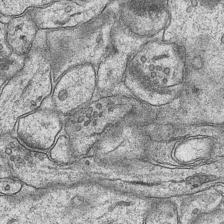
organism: Mouse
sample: CA1 Hippocampus